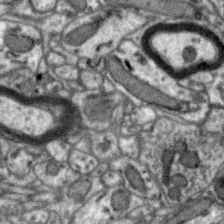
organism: Zebra finch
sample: Brain